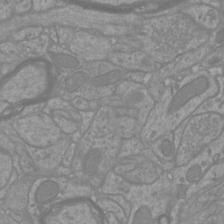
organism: Mouse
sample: Cortical neurons